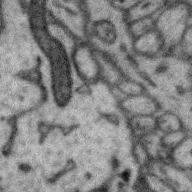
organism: Zebra finch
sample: Brain